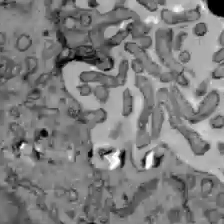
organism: C57BL Mouse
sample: Liver